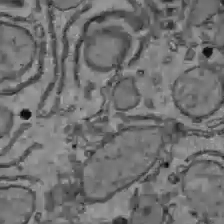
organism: C57BL Mouse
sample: Liver